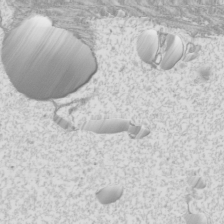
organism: Mouse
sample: Cilia; mouse epididymis